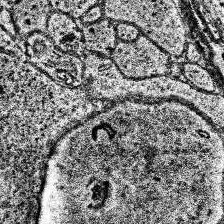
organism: Human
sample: Temporal Lobe